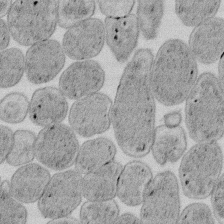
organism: E. coli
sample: Bacterial nucleoid